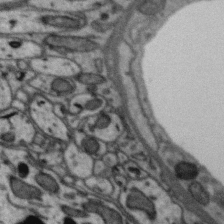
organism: Zebra finch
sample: Brain